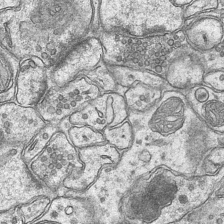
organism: Mouse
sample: CA1 Hippocampus